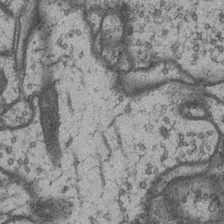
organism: Drosophila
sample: Optic medulla